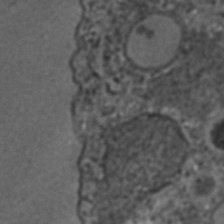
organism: C. elegans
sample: C. elegans embryo